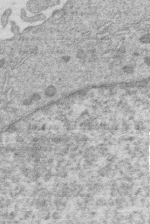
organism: Human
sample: Macrophage cells